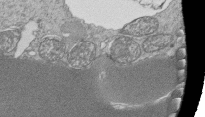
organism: Tetrahymena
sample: Cilia in tetrahymena